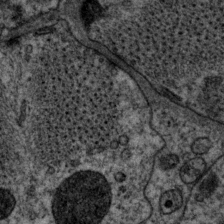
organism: P. pacificus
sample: Pharynx